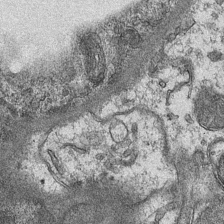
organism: Mouse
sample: CA1 Hippocampus